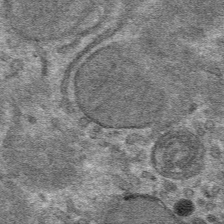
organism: Mouse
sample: Mouse hepatocytes